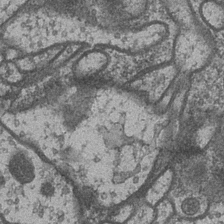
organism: Drosophila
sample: Optic medulla